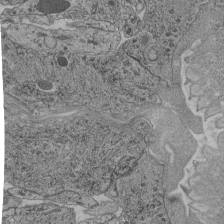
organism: C. elegans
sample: C. elegans pharynx